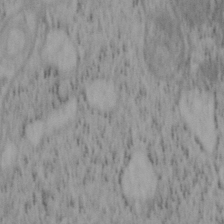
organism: Mouse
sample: OT-I killer T cells with ID8 ovarian cancer cells